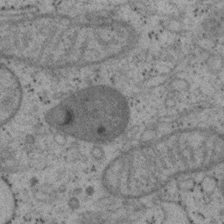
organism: Human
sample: HeLa cells